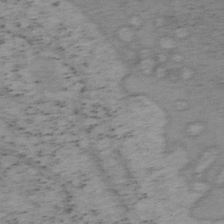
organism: Mouse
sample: OT-I killer T cells with ID8 ovarian cancer cells